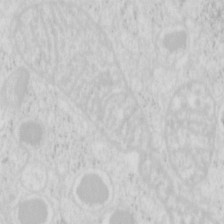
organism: Mouse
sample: Pancreas